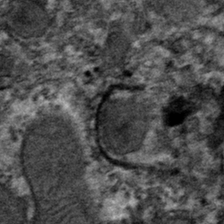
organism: Mouse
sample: Mouse hepatocytes